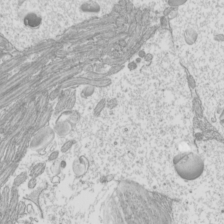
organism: Mouse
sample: Cilia; mouse epididymis